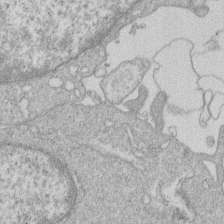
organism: Human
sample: Macrophage cells